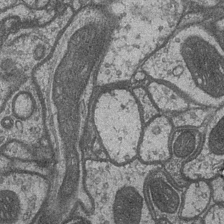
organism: Drosophila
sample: Optic medulla